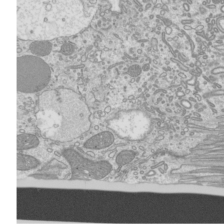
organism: Mouse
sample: Cilia; mouse epididymis